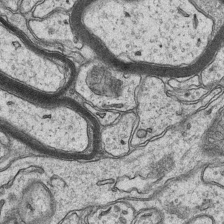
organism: Mouse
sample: CA1 Hippocampus